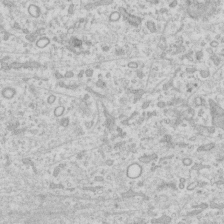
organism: Human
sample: Fibroblast cells